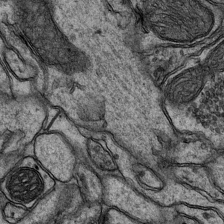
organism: Mouse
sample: CA1 Hippocampus